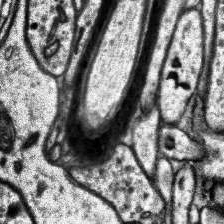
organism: Human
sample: Temporal Lobe